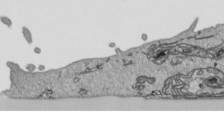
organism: Human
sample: Mitochondria in HCT116 cells